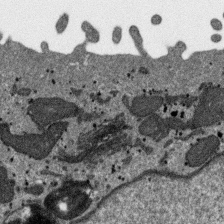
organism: Human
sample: Lung epithelial cells, uninfected (mock) control